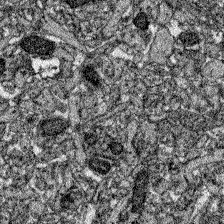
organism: Zebrafish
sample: Larval olfactory bulb